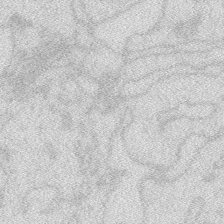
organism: Zebrafish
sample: Macrophage